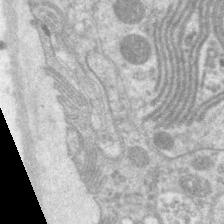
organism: C. elegans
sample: Pharynx